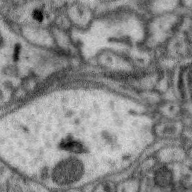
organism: Zebra finch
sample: Brain